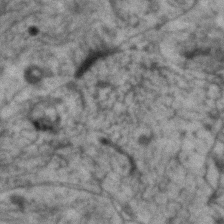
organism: Human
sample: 1205lu cells